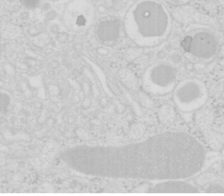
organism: Mouse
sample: Pancreas